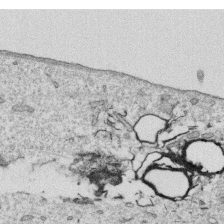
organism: Human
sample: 1205lu cells